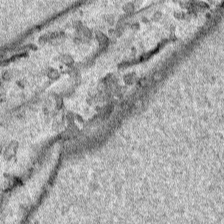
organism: Human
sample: Mitochondria in HCT116 cells